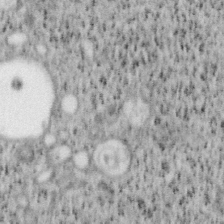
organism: Mouse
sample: OT-I killer T cells with ID8 ovarian cancer cells